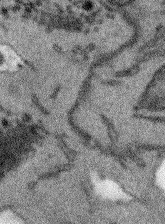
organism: Arabidopsis thaliana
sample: Root tip